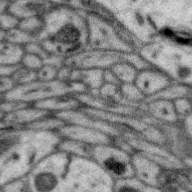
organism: Zebra finch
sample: Brain